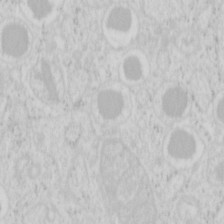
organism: Mouse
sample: Pancreas